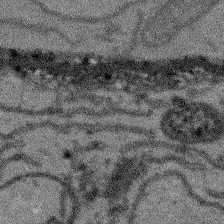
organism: Arabidopsis thaliana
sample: Root tip